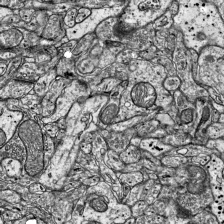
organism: Mouse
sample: Visual Cortex